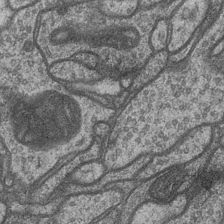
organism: Drosophila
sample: Optic medulla